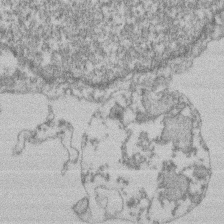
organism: Mouse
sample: T cell stromal cell synapse